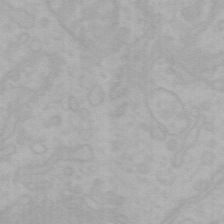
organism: Mouse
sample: Choroid plexus